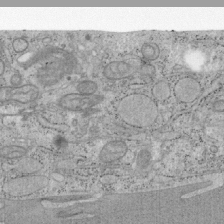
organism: Human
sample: HeLa cells